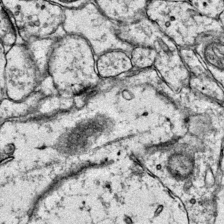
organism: Mouse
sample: Primary visual cortex